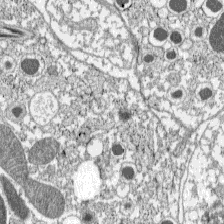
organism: C57BL Mouse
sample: Pancreatic islet